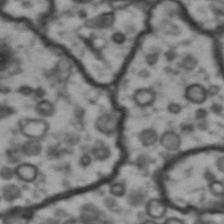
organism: Drosophila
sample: Brain